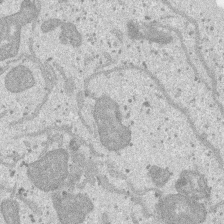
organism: Human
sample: Lung epithelial cells infected with SARS-CoV-2